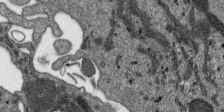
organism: Human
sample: Lung epithelial cells infected with SARS-CoV-2